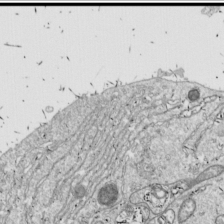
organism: Drosophila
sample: Cell division; meiosis; drosophila spermatocytes